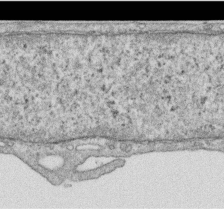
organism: Human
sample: Centriole in RPE cells